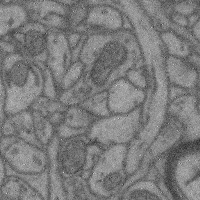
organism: Mouse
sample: Cerebral cortex